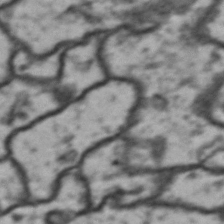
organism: Drosophila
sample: Brain